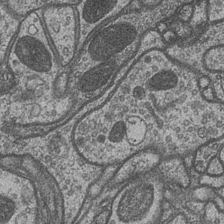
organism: Drosophila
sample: Optic medulla